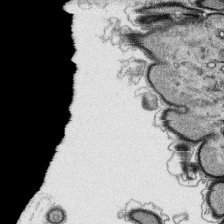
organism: Platynereis dumerilii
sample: Parapodia